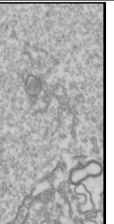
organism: Drosophila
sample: Cell division; meiosis; drosophila spermatocytes